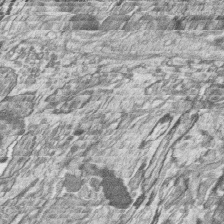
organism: Zebrafish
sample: synaptic ribbons in rod cells and cone cells